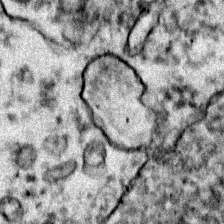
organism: Zebrafish